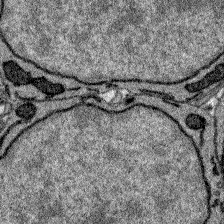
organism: Zebrafish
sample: Larval olfactory bulb